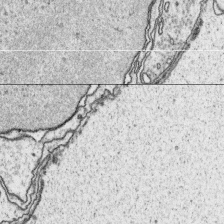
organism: Platynereis dumerilii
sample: Parapodia